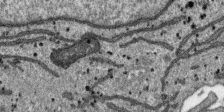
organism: Human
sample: Lung epithelial cells, uninfected (mock) control